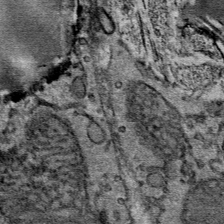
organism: Mouse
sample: Mouse Salivary gland